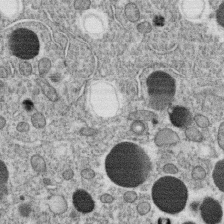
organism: C. elegans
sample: C. elegans oocyte; sperm cells